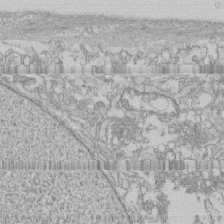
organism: Human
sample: CRL-1474